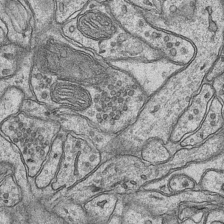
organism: Mouse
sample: CA1 Hippocampus